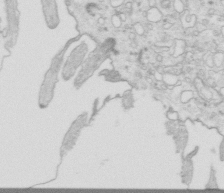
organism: Mouse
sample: Multiciliated cells